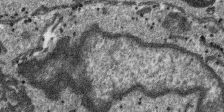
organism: Human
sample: Lung epithelial cells infected with SARS-CoV-2